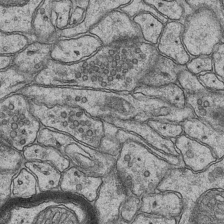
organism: Mouse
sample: CA1 Hippocampus